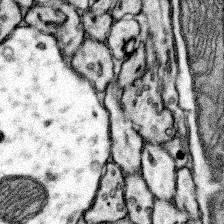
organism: Mouse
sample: Somatosensory cortex neuropil